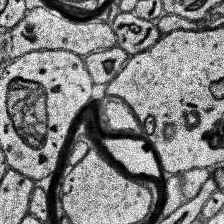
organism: Human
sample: Temporal Lobe